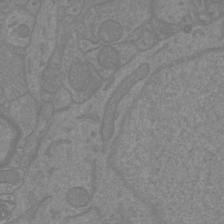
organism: Mouse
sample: Cortical neurons